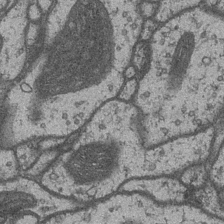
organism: Drosophila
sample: Optic medulla